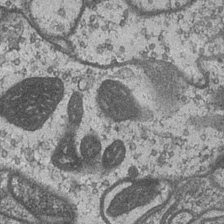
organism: Drosophila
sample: Optic medulla